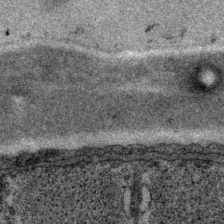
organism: P. pacificus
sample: Pharynx